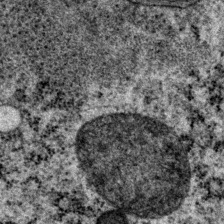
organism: P. pacificus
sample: Pharynx